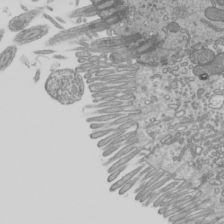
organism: Mouse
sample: Cilia; mouse epididymis